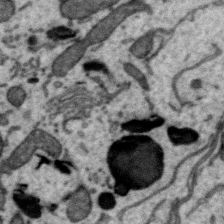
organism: Zebra finch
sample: Brain